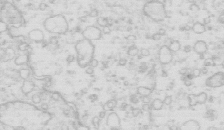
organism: Mouse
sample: Multiciliated cells